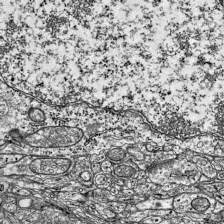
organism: Mouse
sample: Visual Cortex